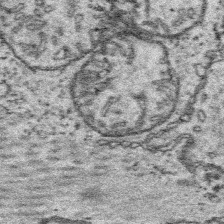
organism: Platynereis dumerilii